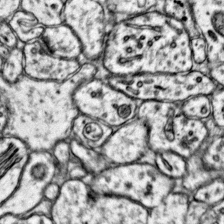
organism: Mouse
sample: Primary visual cortex